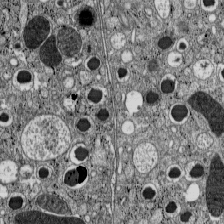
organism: C57BL Mouse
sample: Pancreatic islet